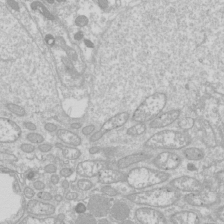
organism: Drosophila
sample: Cell division; meiosis; drosophila spermatocytes